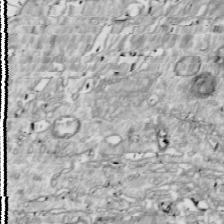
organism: Drosophila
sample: Cell division; meiosis; drosophila spermatocytes